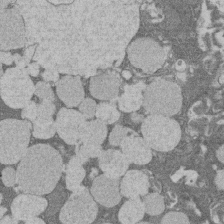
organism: Rat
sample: Salivary granule